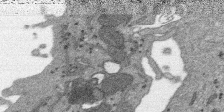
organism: Human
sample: Lung epithelial cells infected with SARS-CoV-2